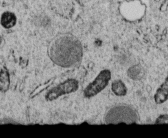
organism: C. elegans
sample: C. elegans embryo early stage